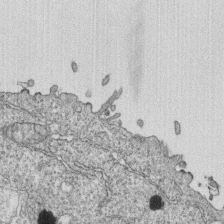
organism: Human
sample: HeLa cell HIV synapse